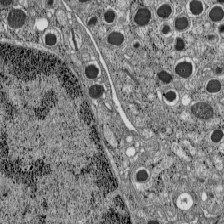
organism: C57BL Mouse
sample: Pancreatic islet